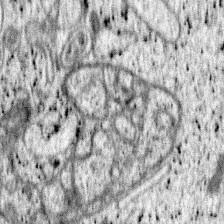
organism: Human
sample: HeLa cells